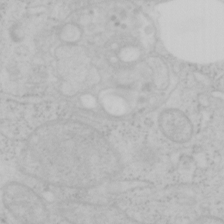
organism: Mouse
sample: OT-I killer T cells with ID8 ovarian cancer cells